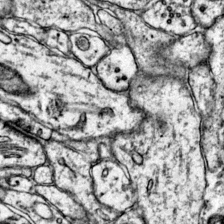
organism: Mouse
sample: Primary visual cortex